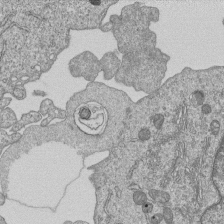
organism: Human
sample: MDA-MB-231 cells